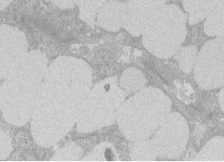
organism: Rat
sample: Salivary granule